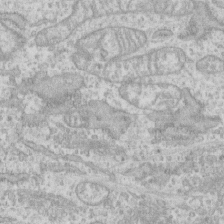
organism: Human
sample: CRL-1474